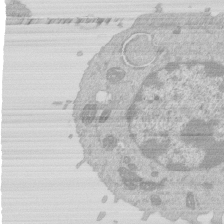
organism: Mouse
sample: Activated Pmel transgenic CD8+ T Cells